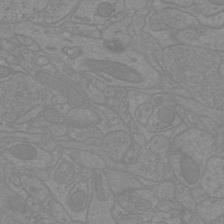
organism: Mouse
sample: Cortical neurons